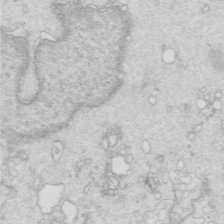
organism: Mouse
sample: Multiciliated cells